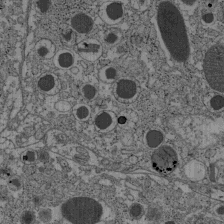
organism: C57BL Mouse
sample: Pancreatic islet